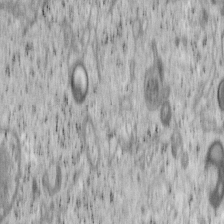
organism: Human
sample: HeLa cells